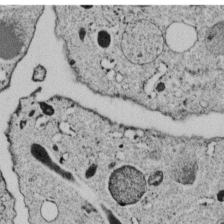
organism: C. elegans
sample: C. elegans embryo early stage